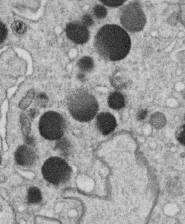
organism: C. elegans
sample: C. elegans oocyte; sperm cells